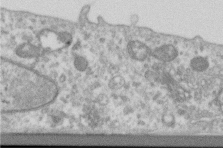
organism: Human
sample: Centriole in RPE cells